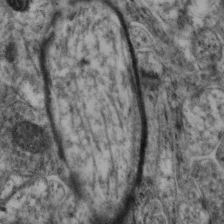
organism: Mouse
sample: Neocortex